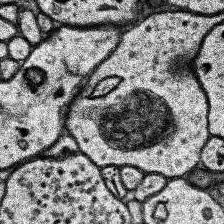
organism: Human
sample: Temporal Lobe